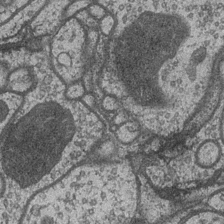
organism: Drosophila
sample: Optic medulla